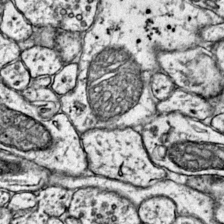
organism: Mouse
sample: Primary visual cortex